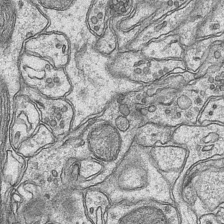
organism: Mouse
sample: CA1 Hippocampus